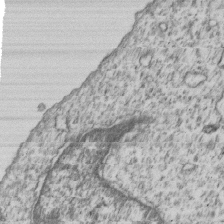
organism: Human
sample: MDA-MB-231 cells